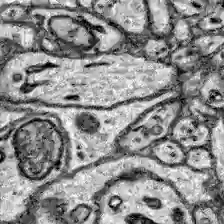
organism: Zebrafish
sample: Brain